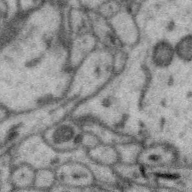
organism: Zebra finch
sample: Brain